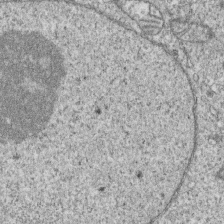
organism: Human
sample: HeLa cell HIV synapse